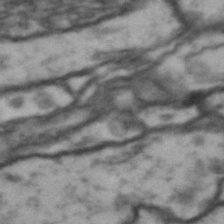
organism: Drosophila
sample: Brain